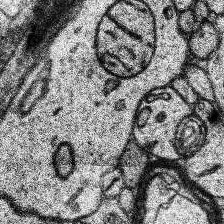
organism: Human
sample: Temporal Lobe